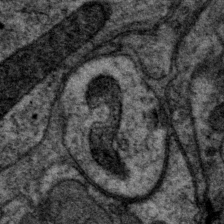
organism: P. pacificus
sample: Pharynx